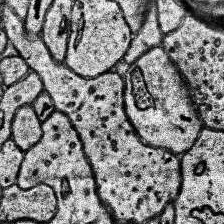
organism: Human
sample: Temporal Lobe